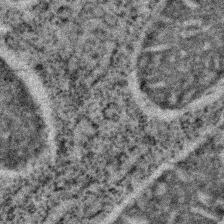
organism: C. elegans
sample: C. elegans embryo